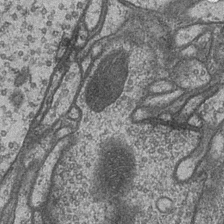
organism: Drosophila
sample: Optic medulla